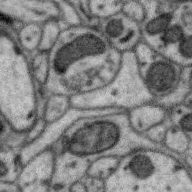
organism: Zebra finch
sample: Brain